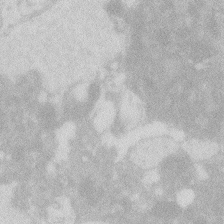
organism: Zebrafish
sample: Macrophage